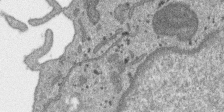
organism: Human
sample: Lung epithelial cells infected with SARS-CoV-2